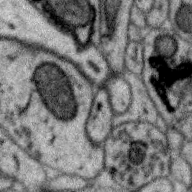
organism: Zebra finch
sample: Brain